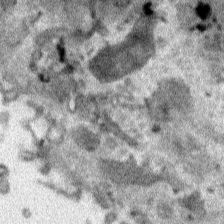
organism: Human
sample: Mitochondria in HCT116 cells